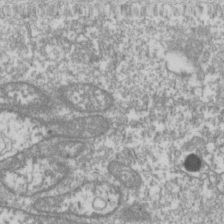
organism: Drosophila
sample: Cell division; meiosis; drosophila spermatocytes